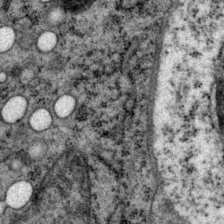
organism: P. pacificus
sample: Pharynx